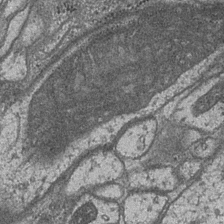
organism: Drosophila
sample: Optic medulla